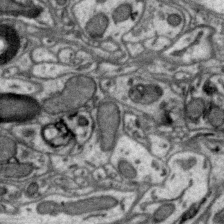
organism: Zebra finch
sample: Brain